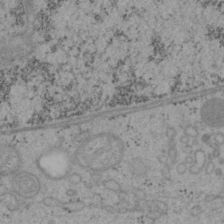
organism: Human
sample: HeLa cells